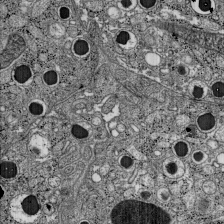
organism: C57BL Mouse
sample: Pancreatic islet